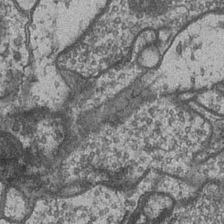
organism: Drosophila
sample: Optic medulla